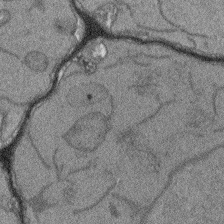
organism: Arabidopsis thaliana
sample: Root tip